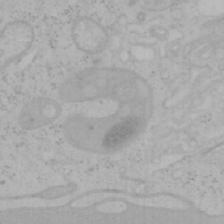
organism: Mouse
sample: OT-I killer T cells with ID8 ovarian cancer cells